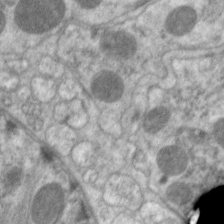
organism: C. elegans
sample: Pharynx